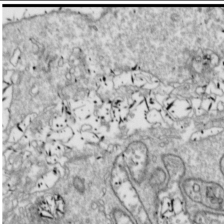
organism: Drosophila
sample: Cell division; meiosis; drosophila spermatocytes